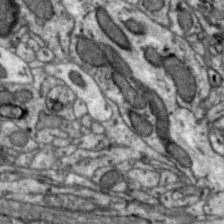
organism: Zebra finch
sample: Brain